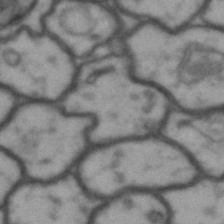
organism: Drosophila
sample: Brain